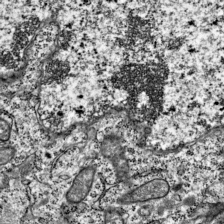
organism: Mouse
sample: Visual Cortex